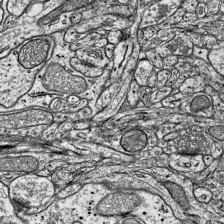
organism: Mouse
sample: Visual Cortex